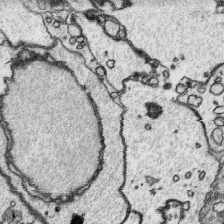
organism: Platynereis dumerilii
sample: Parapodia